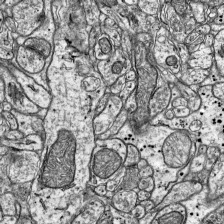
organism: Mouse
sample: Visual Cortex